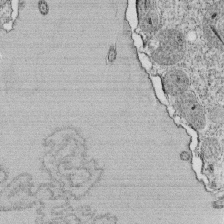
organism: Tetrahymena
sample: Cilia in tetrahymena